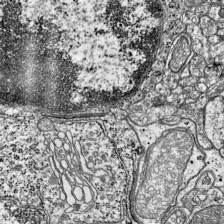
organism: Mouse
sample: Visual Cortex